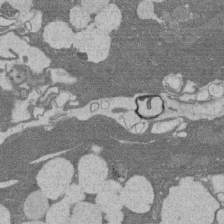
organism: Rat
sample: Salivary granule